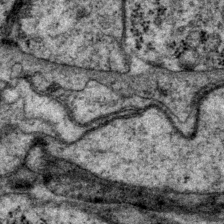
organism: P. pacificus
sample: Pharynx